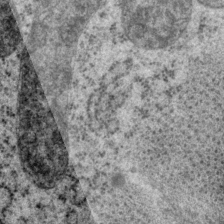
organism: P. pacificus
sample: Pharynx